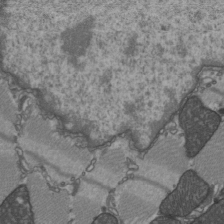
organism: C57BL Mouse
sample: Heart